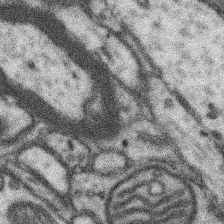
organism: Mouse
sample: Somatosensory cortex neuropil